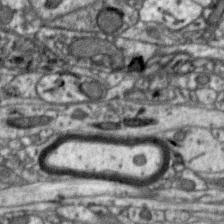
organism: Zebra finch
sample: Brain